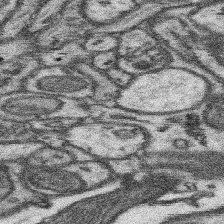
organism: Mouse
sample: Somatosensory cortex neuropil